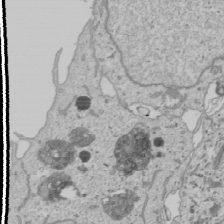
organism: Human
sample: Mitochondria in U2OS cells